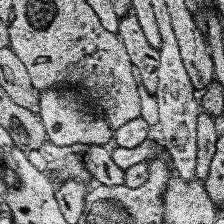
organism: Human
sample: Temporal Lobe